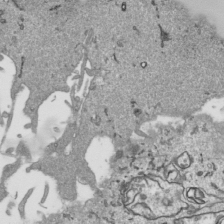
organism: Human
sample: Mitochondria in HCT116 cells